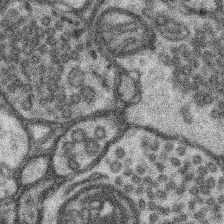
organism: Mouse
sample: Somatosensory cortex neuropil